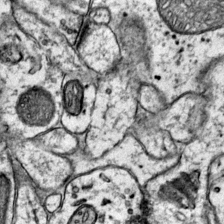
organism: Mouse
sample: Primary visual cortex